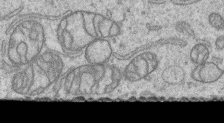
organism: Human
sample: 1205lu cells